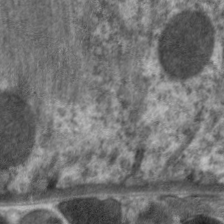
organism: C. elegans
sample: Pharynx